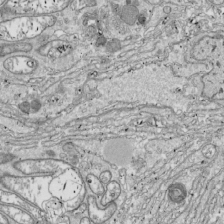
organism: Drosophila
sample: Cell division; meiosis; drosophila spermatocytes